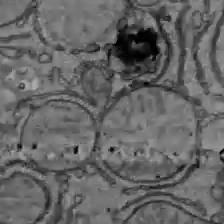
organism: C57BL Mouse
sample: Liver